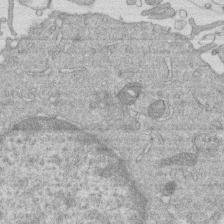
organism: Human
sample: Macrophage cells